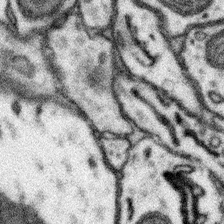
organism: Mouse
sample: Somatosensory cortex neuropil